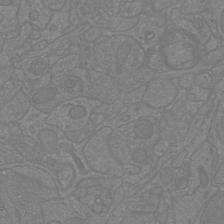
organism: Mouse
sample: Cortical neurons